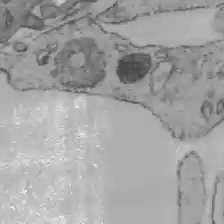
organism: C57BL Mouse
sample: Liver